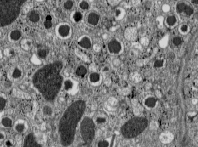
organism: C57BL Mouse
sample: Pancreatic islet